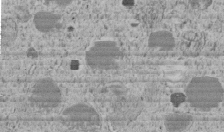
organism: C. elegans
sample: C. elegans embryo early stage